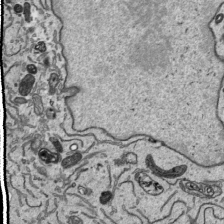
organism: Human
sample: Mitochondria in HCT116 cells